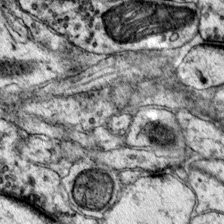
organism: Mouse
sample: Primary visual cortex